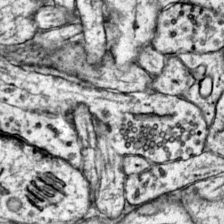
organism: Mouse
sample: Primary visual cortex